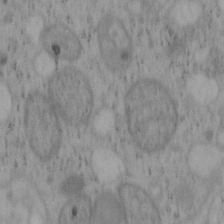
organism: Mouse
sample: OT-I killer T cells with ID8 ovarian cancer cells